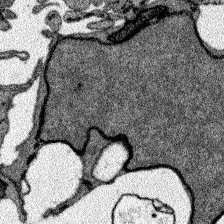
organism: Zebrafish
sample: Larval olfactory bulb